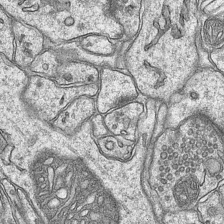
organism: Mouse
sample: CA1 Hippocampus